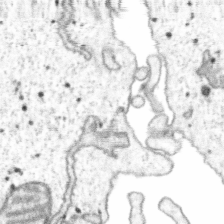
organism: Human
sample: HeLa cells